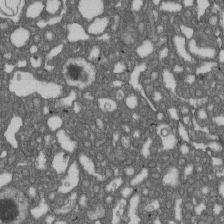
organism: Drosophila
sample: Nephrocyte